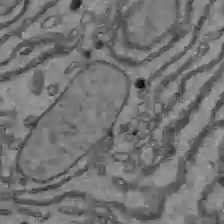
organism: C57BL Mouse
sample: Liver